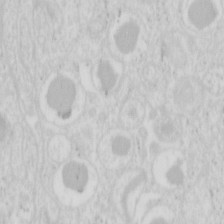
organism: Mouse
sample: Pancreas